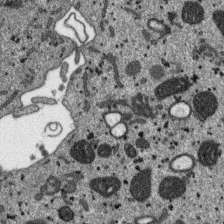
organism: Human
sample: Lung epithelial cells infected with SARS-CoV-2